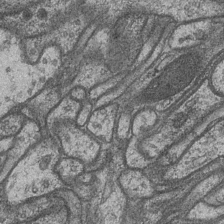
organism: Drosophila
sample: Optic medulla